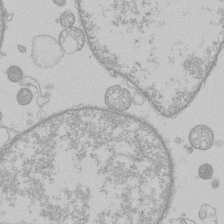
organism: Human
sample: Macrophage cells